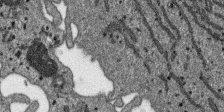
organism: Human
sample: Lung epithelial cells infected with SARS-CoV-2